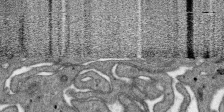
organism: Human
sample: Lung epithelial cells, uninfected (mock) control